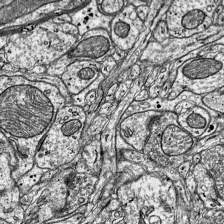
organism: Mouse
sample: Visual Cortex